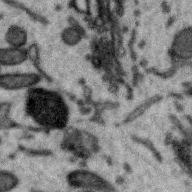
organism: Zebra finch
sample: Brain